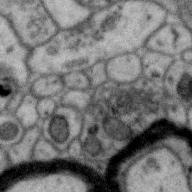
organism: Zebra finch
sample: Brain